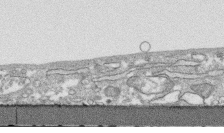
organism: Human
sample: CRL-1474